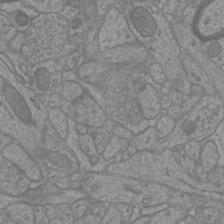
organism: Mouse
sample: Cortical neurons